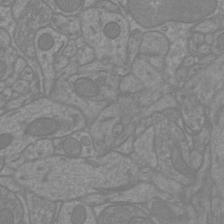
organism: Mouse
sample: Cortical neurons